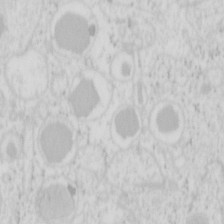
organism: Mouse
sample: Pancreas